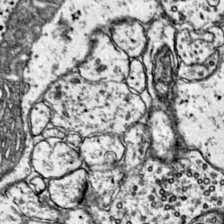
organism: Mouse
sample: Primary visual cortex